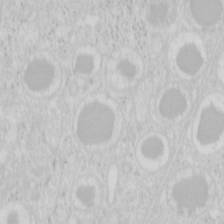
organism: Mouse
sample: Pancreas